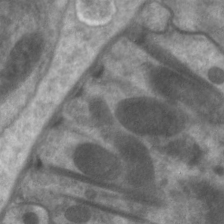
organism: C. elegans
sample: Pharynx